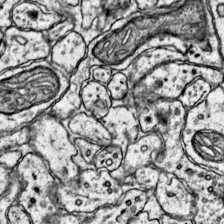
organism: Mouse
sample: Primary visual cortex